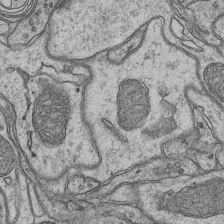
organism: Mouse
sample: CA1 Hippocampus